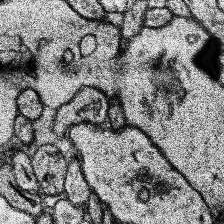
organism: Human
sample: Temporal Lobe